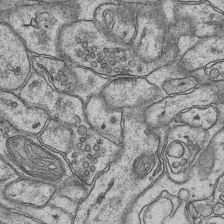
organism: Mouse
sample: CA1 Hippocampus